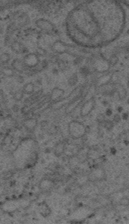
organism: Human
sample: HeLa cells